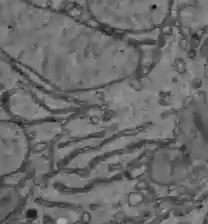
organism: C57BL Mouse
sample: Liver